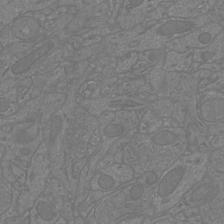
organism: Mouse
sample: Cortical neurons